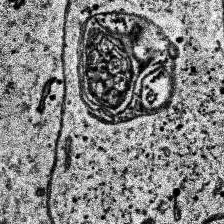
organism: Human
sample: Temporal Lobe